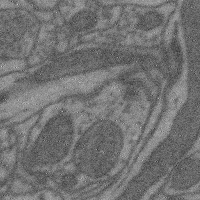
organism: Mouse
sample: Cerebral cortex